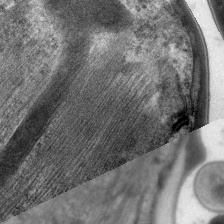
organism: C. elegans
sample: Pharynx